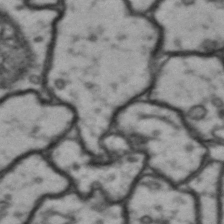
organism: Drosophila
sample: Brain